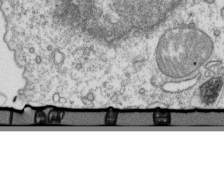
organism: Mouse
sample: Activated OT-1 CD8+ T cells